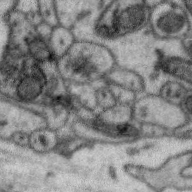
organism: Zebra finch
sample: Brain